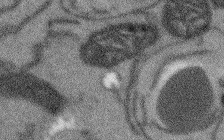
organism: Arabidopsis thaliana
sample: Root tip